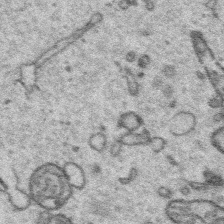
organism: Platynereis dumerilii